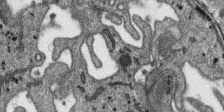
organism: Human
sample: Lung epithelial cells infected with SARS-CoV-2